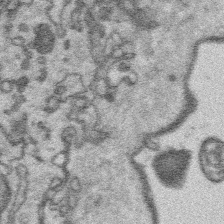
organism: Platynereis dumerilii